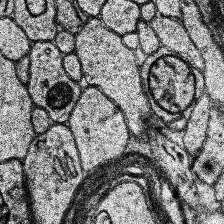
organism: Human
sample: Temporal Lobe